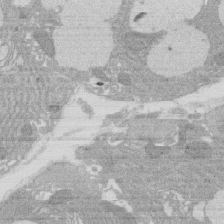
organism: Rat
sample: Salivary granule